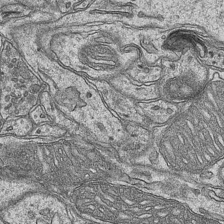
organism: Mouse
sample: CA1 Hippocampus